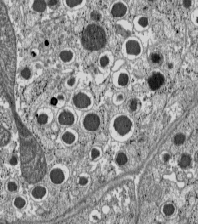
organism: C57BL Mouse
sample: Pancreatic islet